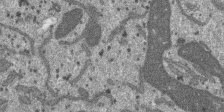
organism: Human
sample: Lung epithelial cells infected with SARS-CoV-2